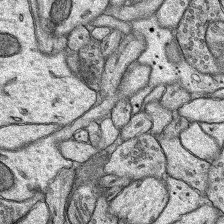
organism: Rat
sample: Hippocampus